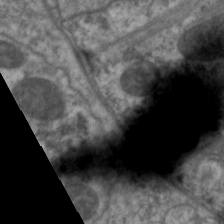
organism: C. elegans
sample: Pharynx